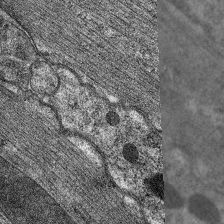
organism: C. elegans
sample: Pharynx